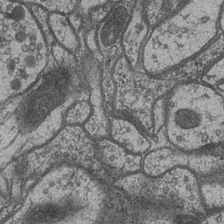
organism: Drosophila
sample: Optic medulla